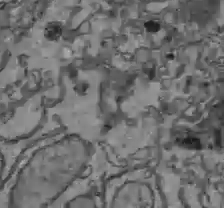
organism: C57BL Mouse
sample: Liver